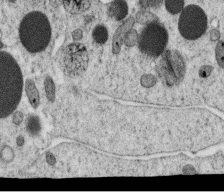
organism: C. elegans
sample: C. elegans oocyte; sperm cells